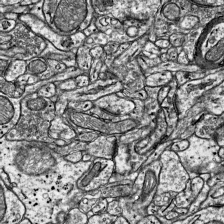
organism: Mouse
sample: Visual Cortex